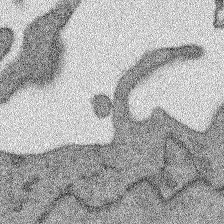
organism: Human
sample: HeLa cells